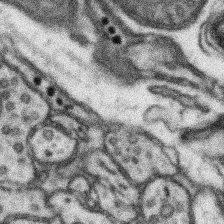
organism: Mouse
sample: Somatosensory cortex neuropil